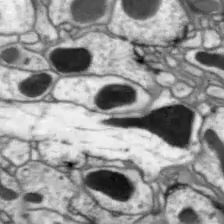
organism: Drosophila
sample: Optic lobe